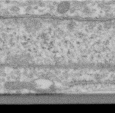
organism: Human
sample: Centriole in RPE cells